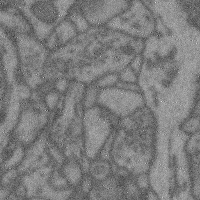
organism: Mouse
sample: Cerebral cortex